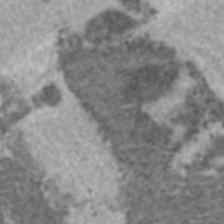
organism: C57BL Mouse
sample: Heart